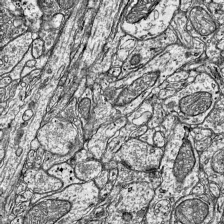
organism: Mouse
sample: Visual Cortex